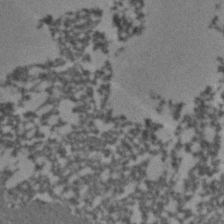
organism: C. elegans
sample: C. elegans embryo